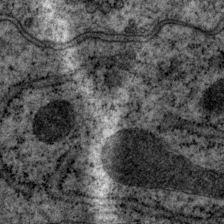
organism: P. pacificus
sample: Pharynx